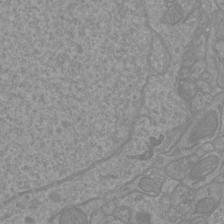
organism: Mouse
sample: Cortical neurons